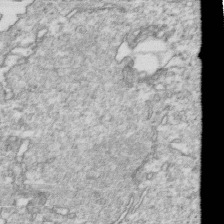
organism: Mouse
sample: Activated OT-1 CD8+ T cells